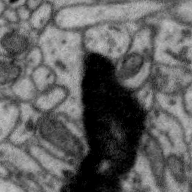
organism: Zebra finch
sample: Brain